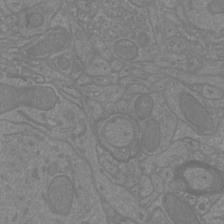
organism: Mouse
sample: Cortical neurons